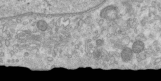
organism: Human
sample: Centriole in RPE cells